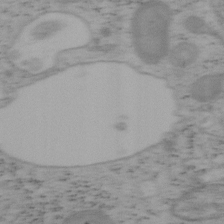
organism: Mouse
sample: OT-I killer T cells with ID8 ovarian cancer cells